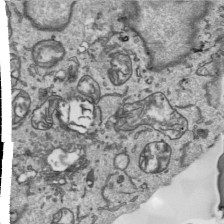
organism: Human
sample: Mitochondria in HCT116 cells